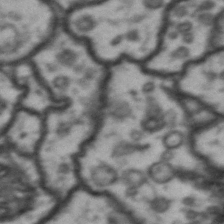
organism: Drosophila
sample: Brain